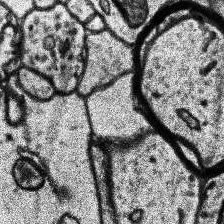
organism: Human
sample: Temporal Lobe